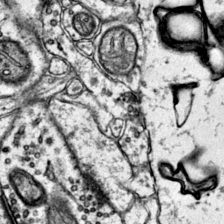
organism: Mouse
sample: Primary visual cortex